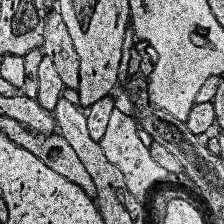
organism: Human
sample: Temporal Lobe